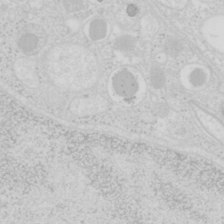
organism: Mouse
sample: Pancreas